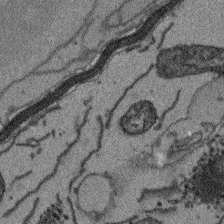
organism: Arabidopsis thaliana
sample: Root tip